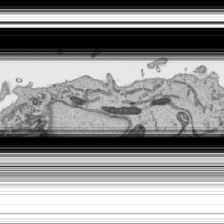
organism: Human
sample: Mitochondria in HCT116 cells